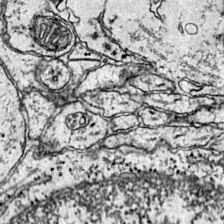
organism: Mouse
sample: Primary visual cortex